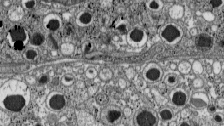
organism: C57BL Mouse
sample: Pancreatic islet